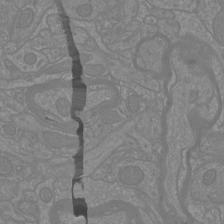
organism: Mouse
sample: Cortical neurons